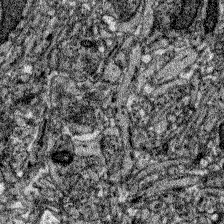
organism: Zebrafish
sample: Larval olfactory bulb